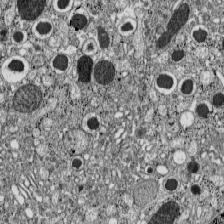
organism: C57BL Mouse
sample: Pancreatic islet